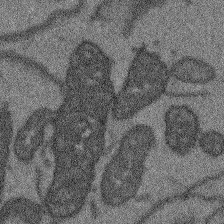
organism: Arabidopsis thaliana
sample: Root tip